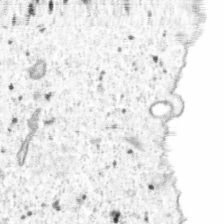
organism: Human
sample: HeLa cells